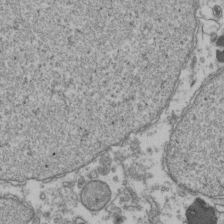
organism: Human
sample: Activated Jurkat CD4+ T cells